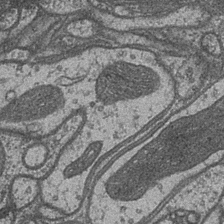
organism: Drosophila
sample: Optic medulla